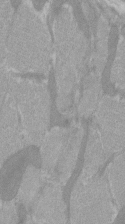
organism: C57BL Mouse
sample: Tibialis anterior muscle cell